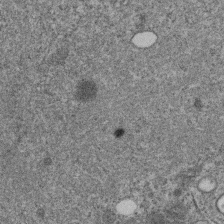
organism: C. elegans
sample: C. elegans embryo early stage